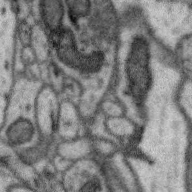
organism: Zebra finch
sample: Brain